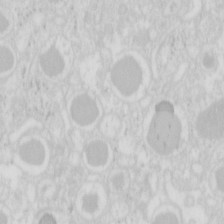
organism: Mouse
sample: Pancreas